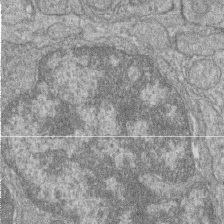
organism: Zebrafish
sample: Cilia; retinal pigment epithelium